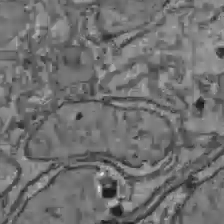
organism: C57BL Mouse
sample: Liver